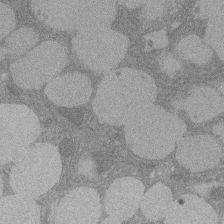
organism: Rat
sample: Salivary granule